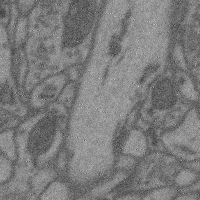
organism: Mouse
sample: Cerebral cortex